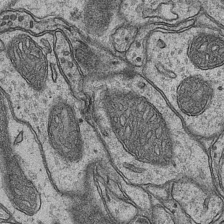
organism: Mouse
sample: CA1 Hippocampus